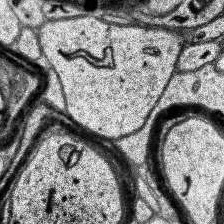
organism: Human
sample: Temporal Lobe